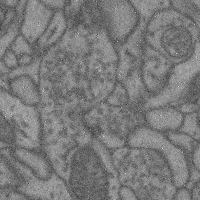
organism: Mouse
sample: Cerebral cortex